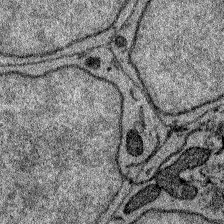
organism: Zebrafish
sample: Larval olfactory bulb